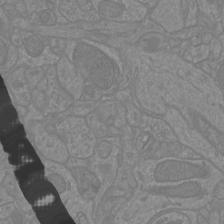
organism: Mouse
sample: Cortical neurons